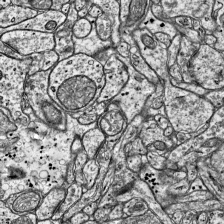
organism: Mouse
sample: Visual Cortex